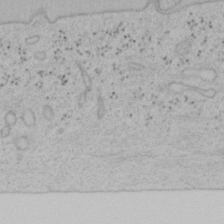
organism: Human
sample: HeLa cells